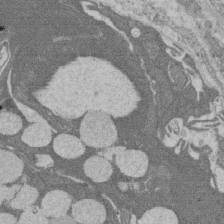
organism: Rat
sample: Salivary granule